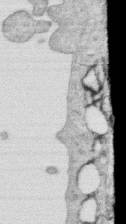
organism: Human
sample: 1205lu cells